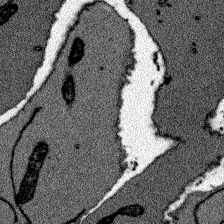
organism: Zebrafish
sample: Larval olfactory bulb